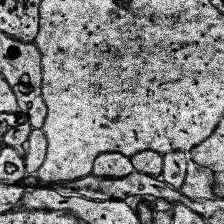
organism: Human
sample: Temporal Lobe